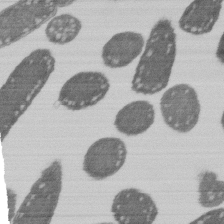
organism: E. coli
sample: Bacterial nucleoid